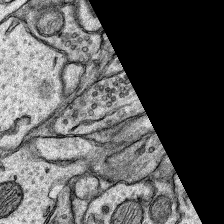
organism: Rat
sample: Hippocampus